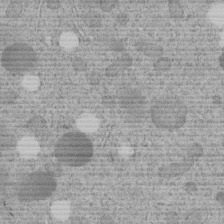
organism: C. elegans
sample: C. elegans embryo early stage